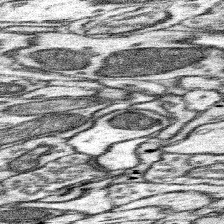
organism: Mouse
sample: Somatosensory cortex neuropil